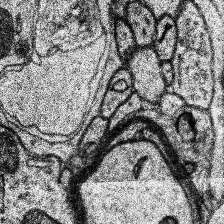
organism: Human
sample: Temporal Lobe